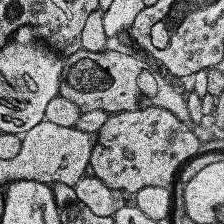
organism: Human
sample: Temporal Lobe